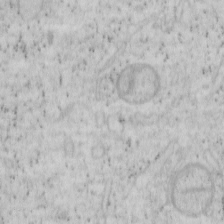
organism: Human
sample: HeLa cells